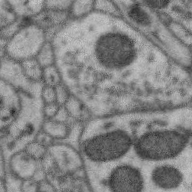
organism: Zebra finch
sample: Brain